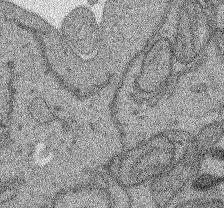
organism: Human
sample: HeLa cells